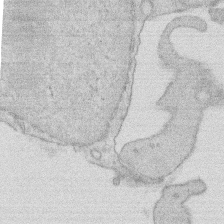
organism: Rat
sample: Salivary granule